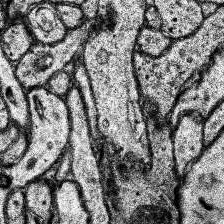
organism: Human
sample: Temporal Lobe